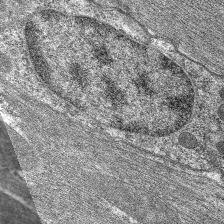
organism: C. elegans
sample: Pharynx